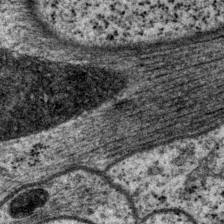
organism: P. pacificus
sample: Pharynx